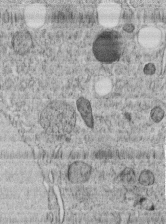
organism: C. elegans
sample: C. elegans embryo early stage